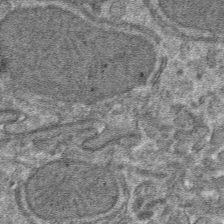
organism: Mouse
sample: Mouse hepatocytes